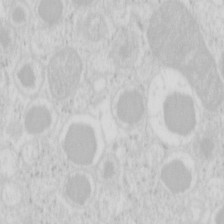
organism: Mouse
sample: Pancreas